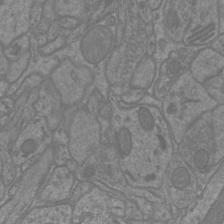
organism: Mouse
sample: Cortical neurons